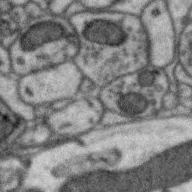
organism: Zebra finch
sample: Brain